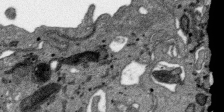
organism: Human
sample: Lung epithelial cells, uninfected (mock) control